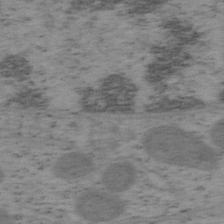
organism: Mouse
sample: OT-I killer T cells with ID8 ovarian cancer cells